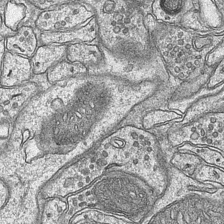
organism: Mouse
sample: CA1 Hippocampus